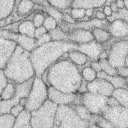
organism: Rabbit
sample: Retina